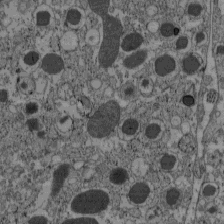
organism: C57BL Mouse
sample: Pancreatic islet